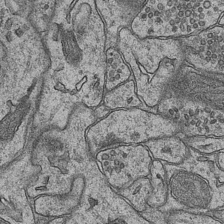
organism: Mouse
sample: CA1 Hippocampus